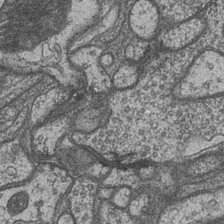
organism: Drosophila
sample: Optic medulla